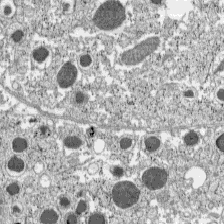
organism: C57BL Mouse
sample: Pancreatic islet